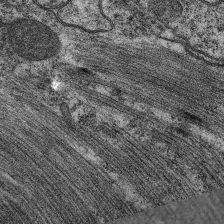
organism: C. elegans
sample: Pharynx